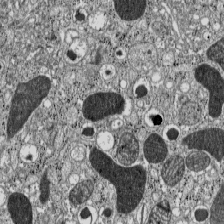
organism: C57BL Mouse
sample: Pancreatic islet